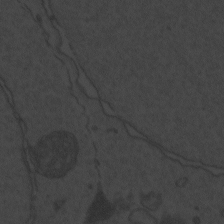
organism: Zebrafish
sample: Macrophage infected with Toxoplasma gondii